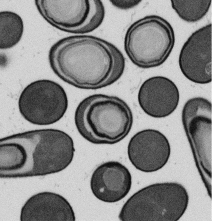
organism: B. subtilis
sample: Bacterial spore